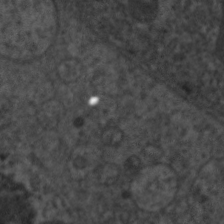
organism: C. elegans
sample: Pharynx